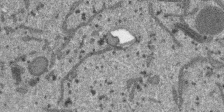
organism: Human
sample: Lung epithelial cells infected with SARS-CoV-2